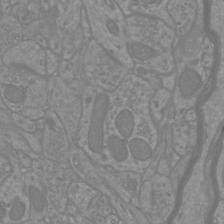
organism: Mouse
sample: Cortical neurons